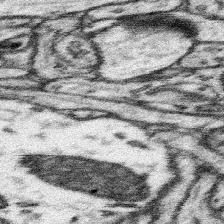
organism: Mouse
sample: Somatosensory cortex neuropil